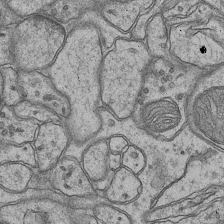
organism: Mouse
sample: CA1 Hippocampus